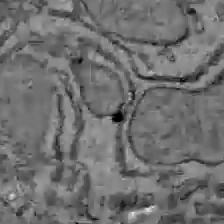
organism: C57BL Mouse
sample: Liver